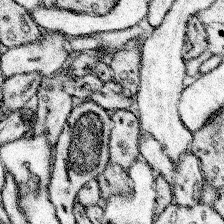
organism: Mouse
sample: Somatosensory cortex neuropil